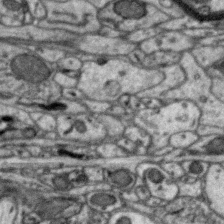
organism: Zebra finch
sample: Brain